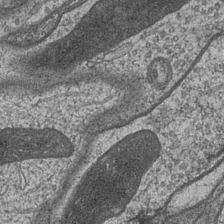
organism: Drosophila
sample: Optic medulla